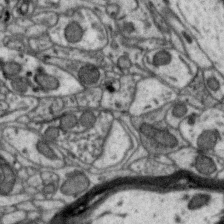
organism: Zebra finch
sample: Brain